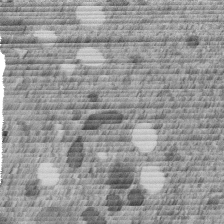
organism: C. elegans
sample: C. elegans embryo early stage